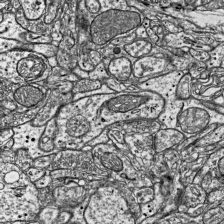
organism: Mouse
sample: Visual Cortex